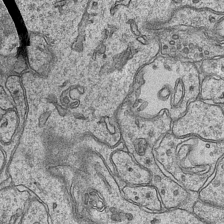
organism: Mouse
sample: CA1 Hippocampus